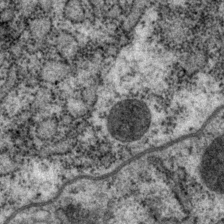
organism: P. pacificus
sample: Pharynx